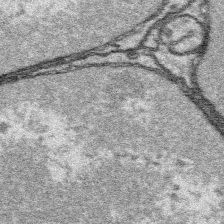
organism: Platynereis dumerilii